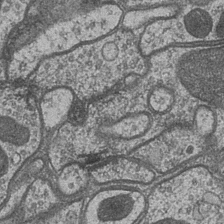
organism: Drosophila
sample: Optic medulla